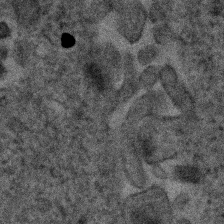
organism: Human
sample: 1205lu cells